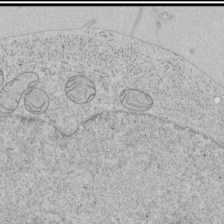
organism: Human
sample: Mitochondria in HCT116 cells